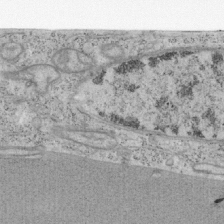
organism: Human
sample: HeLa cells